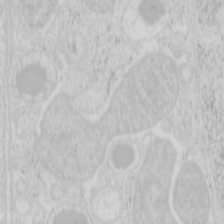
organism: Mouse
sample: Pancreas